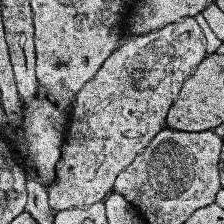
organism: Human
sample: Temporal Lobe